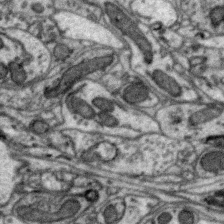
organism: Zebra finch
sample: Brain